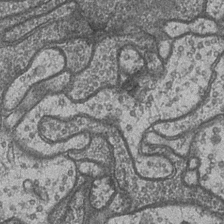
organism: Drosophila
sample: Optic medulla